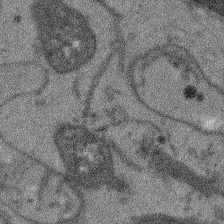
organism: Arabidopsis thaliana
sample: Root tip